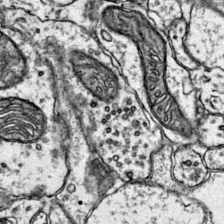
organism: Mouse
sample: Primary visual cortex